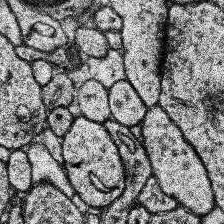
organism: Human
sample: Temporal Lobe